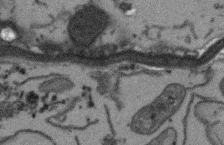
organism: Arabidopsis thaliana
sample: Root tip